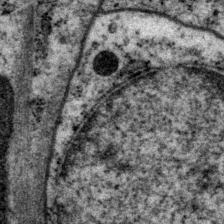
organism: P. pacificus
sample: Pharynx